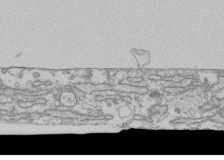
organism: Human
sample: Fibroblast cells